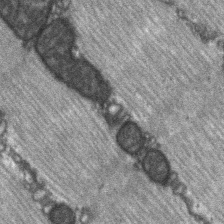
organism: C57BL Mouse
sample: Soleus